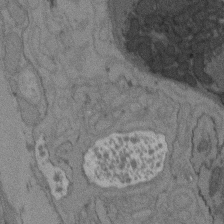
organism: C. elegans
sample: AFD neurons C. elegans